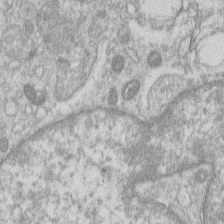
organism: Human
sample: Macrophage cells